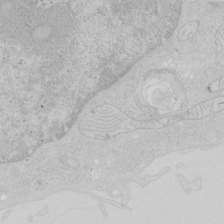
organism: Human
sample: Mitochondria in HCT116 cells